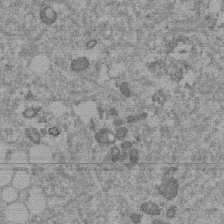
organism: Mouse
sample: Dividing mouse embryo 1 cell stage